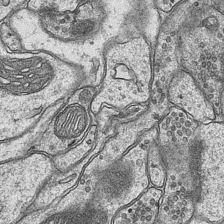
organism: Mouse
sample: CA1 Hippocampus